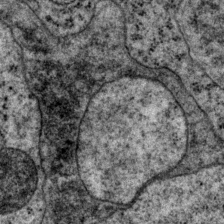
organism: P. pacificus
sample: Pharynx